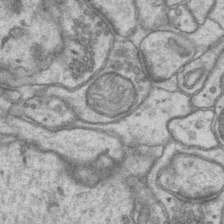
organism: Mouse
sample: CA1 Hippocampus